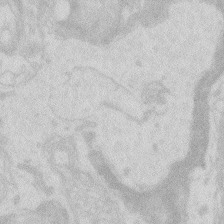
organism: Zebrafish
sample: Macrophage